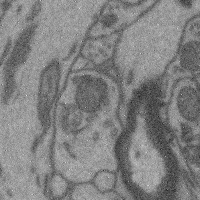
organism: Mouse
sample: Cerebral cortex